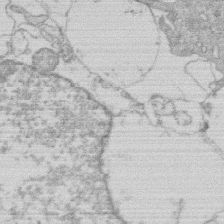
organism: Human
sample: Macrophage cells